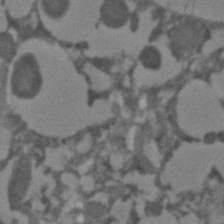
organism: C. elegans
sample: C. elegans embryo